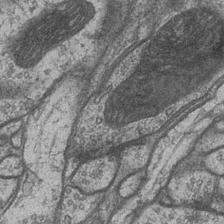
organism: Drosophila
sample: Optic medulla